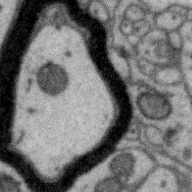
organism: Zebra finch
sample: Brain